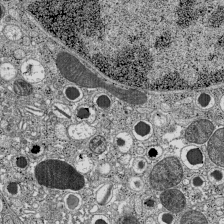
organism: C57BL Mouse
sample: Pancreatic islet